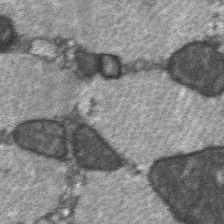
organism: C57BL Mouse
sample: Soleus